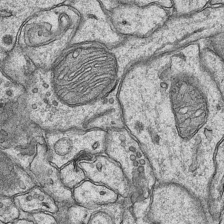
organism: Mouse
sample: CA1 Hippocampus